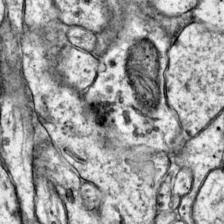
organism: Mouse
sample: Primary visual cortex